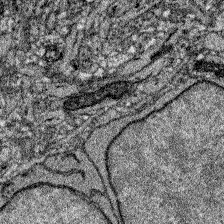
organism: Zebrafish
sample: Larval olfactory bulb